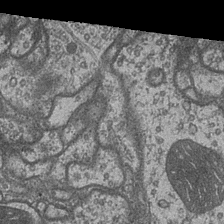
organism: Drosophila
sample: Optic medulla